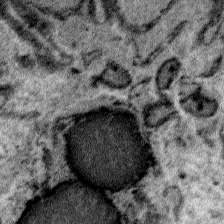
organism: Plasmodium falciparum